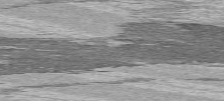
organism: C57BL Mouse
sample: Heart